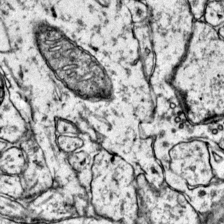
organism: Mouse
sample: Primary visual cortex